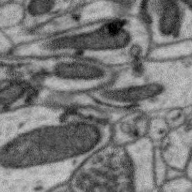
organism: Zebra finch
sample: Brain